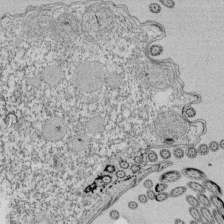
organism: Tetrahymena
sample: Cilia in tetrahymena